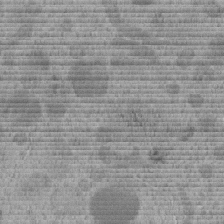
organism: C. elegans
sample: C. elegans embryo early stage